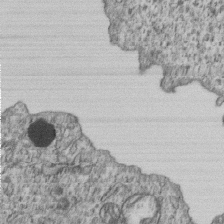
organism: Human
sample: MDA-MB-231 cells